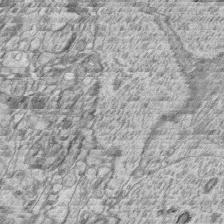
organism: Zebrafish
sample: synaptic ribbons in rod cells and cone cells